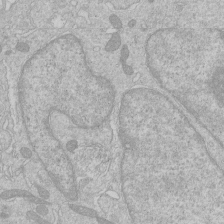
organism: Human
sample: Macrophage cells